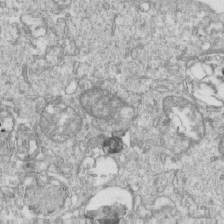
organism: Mouse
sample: Activated OT-1 CD8+ T cells